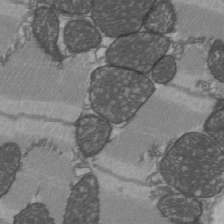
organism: C57BL Mouse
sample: Heart